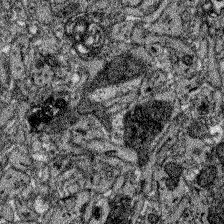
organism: Zebrafish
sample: Larval olfactory bulb